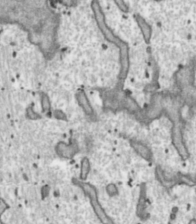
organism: Toxoplasma gondii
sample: Parasites in a vacuole inside a host cell